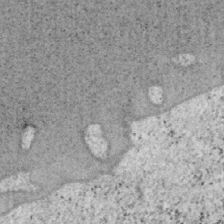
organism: Mouse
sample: OT-I killer T cells with ID8 ovarian cancer cells